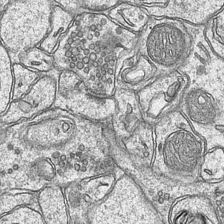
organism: Mouse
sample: CA1 Hippocampus